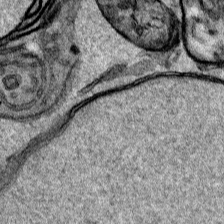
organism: Human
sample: Mitochondria in HCT116 cells